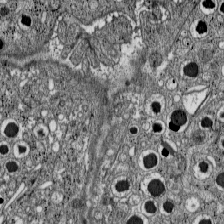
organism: C57BL Mouse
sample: Pancreatic islet